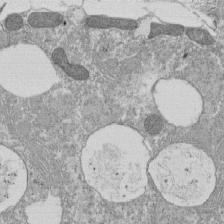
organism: Tetrahymena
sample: Cilia in tetrahymena